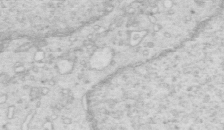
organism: Mouse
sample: Multiciliated cells